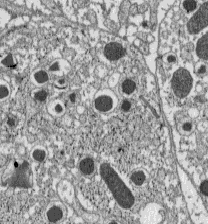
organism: C57BL Mouse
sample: Pancreatic islet